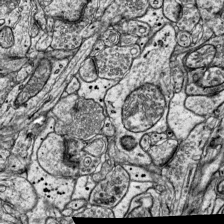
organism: Mouse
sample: Visual Cortex